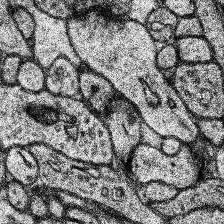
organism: Human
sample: Temporal Lobe